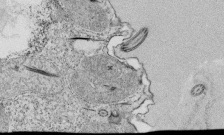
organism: Tetrahymena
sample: Cilia in tetrahymena